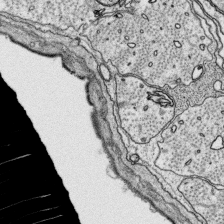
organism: Platynereis dumerilii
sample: Parapodia